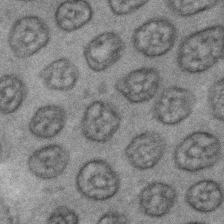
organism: C. elegans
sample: C. elegans embryo